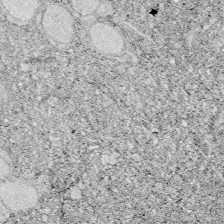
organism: Zebrafish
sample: Whole-Brain